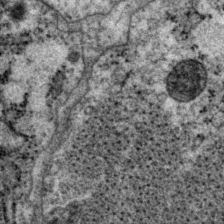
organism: P. pacificus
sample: Pharynx